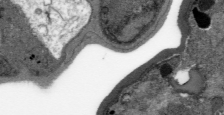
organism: Plasmodium falciparum